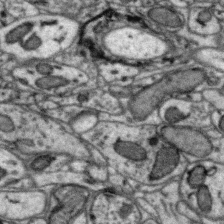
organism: Zebra finch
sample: Brain